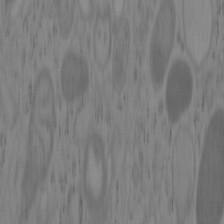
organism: Human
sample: HeLa cells